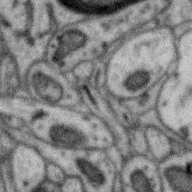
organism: Zebra finch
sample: Brain